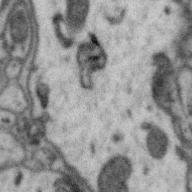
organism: Zebra finch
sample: Brain